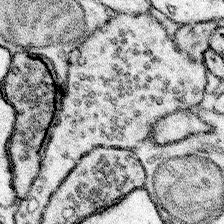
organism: Mouse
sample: Somatosensory cortex neuropil